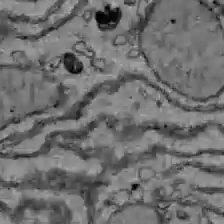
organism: C57BL Mouse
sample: Liver